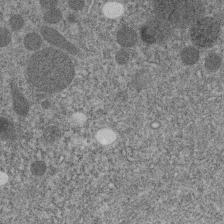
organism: C. elegans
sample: C. elegans embryo early stage